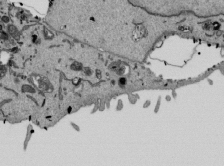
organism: Mouse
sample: ED-1 cell nuclei; centrioles